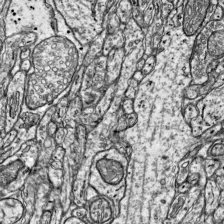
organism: Mouse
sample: Visual Cortex